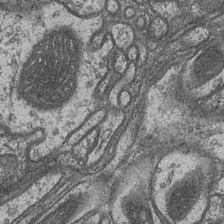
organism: Drosophila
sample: Optic medulla